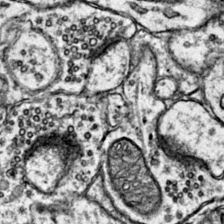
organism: Mouse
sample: Primary visual cortex